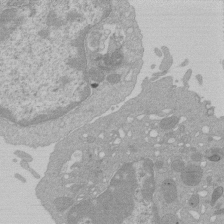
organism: Mouse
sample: Activated Pmel transgenic CD8+ T Cells